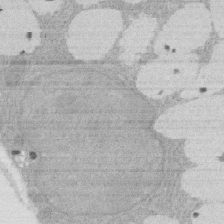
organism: Rat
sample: Salivary granule